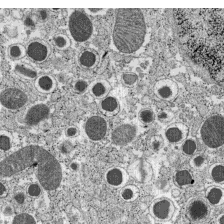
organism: C57BL Mouse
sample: Pancreatic islet